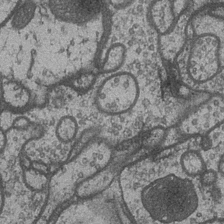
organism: Drosophila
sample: Optic medulla